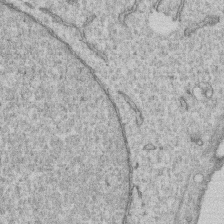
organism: Human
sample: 1205lu cells